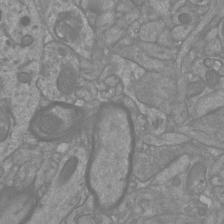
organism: Mouse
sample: Cortical neurons